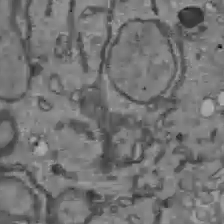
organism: C57BL Mouse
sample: Liver